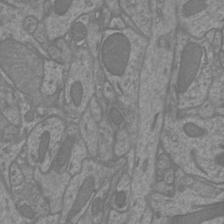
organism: Mouse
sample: Cortical neurons